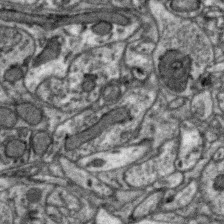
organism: Zebra finch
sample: Brain